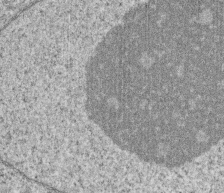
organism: Human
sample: HeLa cell HIV synapse